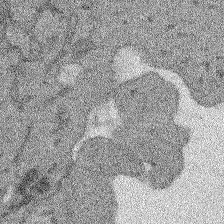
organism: Human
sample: HeLa cells